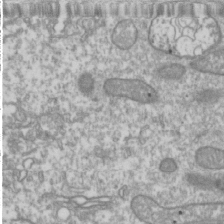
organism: Drosophila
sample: Cell division; meiosis; drosophila spermatocytes